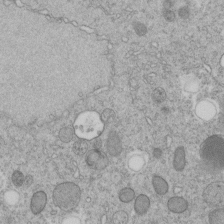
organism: C. elegans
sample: C. elegans embryo early stage